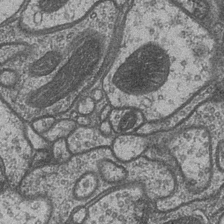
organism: Drosophila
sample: Optic medulla